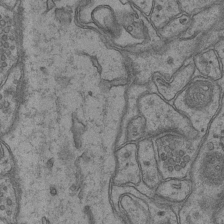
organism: Mouse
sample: CA1 Hippocampus